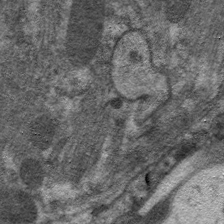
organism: C. elegans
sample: Pharynx